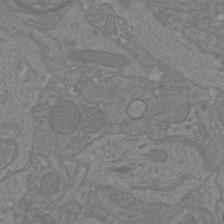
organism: Mouse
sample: Cortical neurons